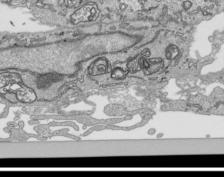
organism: Human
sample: Mitochondria in HCT116 cells